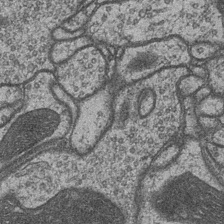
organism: Drosophila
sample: Optic medulla